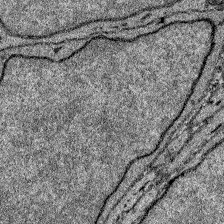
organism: Zebrafish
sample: Larval olfactory bulb